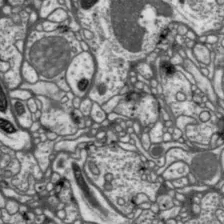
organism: Drosophila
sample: Protocerebral bridge